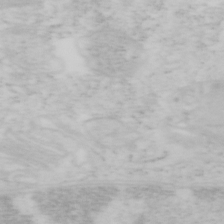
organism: Mouse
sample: OT-I killer T cells with ID8 ovarian cancer cells